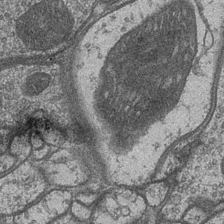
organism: Drosophila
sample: Optic medulla